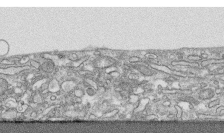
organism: Human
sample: CRL-1474